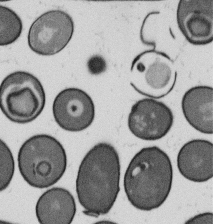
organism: B. subtilis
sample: Bacterial spore